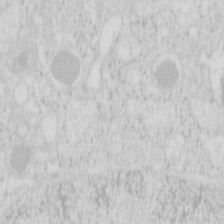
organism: Mouse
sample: Pancreas